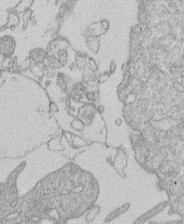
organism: Human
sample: Macrophage cells